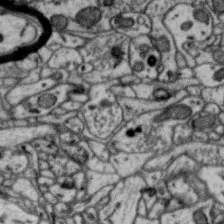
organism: Zebra finch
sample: Brain